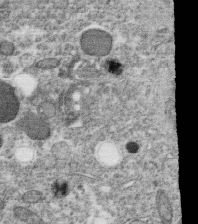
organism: C. elegans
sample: C. elegans oocyte; sperm cells